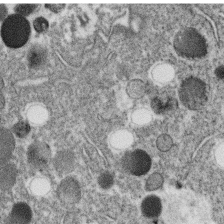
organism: C. elegans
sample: C. elegans oocyte; sperm cells